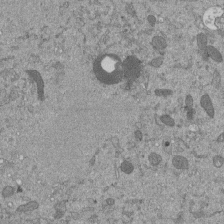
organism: Mouse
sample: ED-1 cell nuclei; centrioles